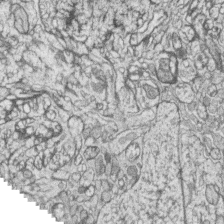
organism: Zebrafish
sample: synaptic ribbons in rod cells and cone cells